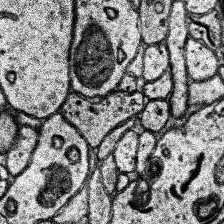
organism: Human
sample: Temporal Lobe